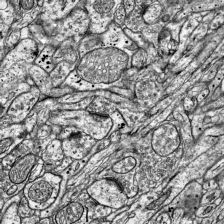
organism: Mouse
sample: Visual Cortex